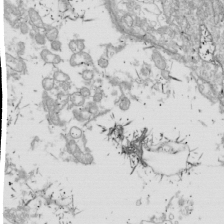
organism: Drosophila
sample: Cell division; meiosis; drosophila spermatocytes